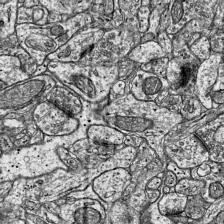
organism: Mouse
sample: Visual Cortex